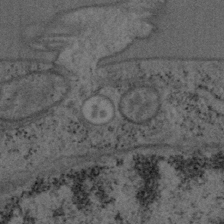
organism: Human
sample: HeLa cells